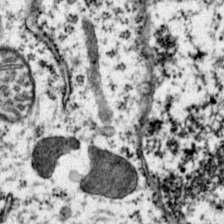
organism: Mouse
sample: Primary visual cortex